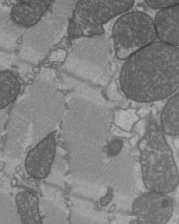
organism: C57BL Mouse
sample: Heart